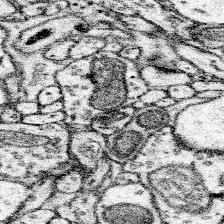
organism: Mouse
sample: Somatosensory cortex neuropil